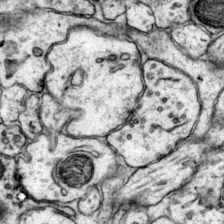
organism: Mouse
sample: Primary visual cortex